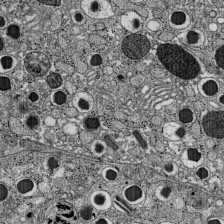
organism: C57BL Mouse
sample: Pancreatic islet